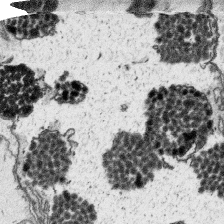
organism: Platynereis dumerilii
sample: Parapodia